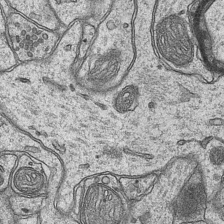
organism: Mouse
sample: CA1 Hippocampus